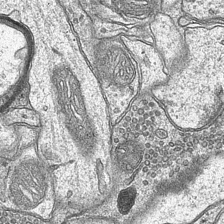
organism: Mouse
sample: CA1 Hippocampus